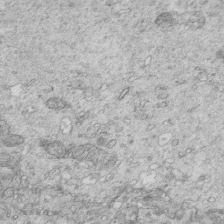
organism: Mouse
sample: Multiciliated cells